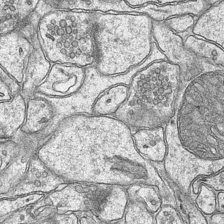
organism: Mouse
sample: CA1 Hippocampus